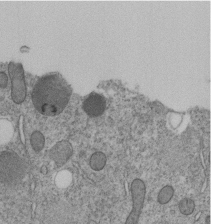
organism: C. elegans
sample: C. elegans embryo early stage